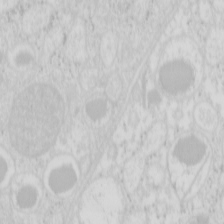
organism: Mouse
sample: Pancreas